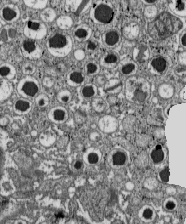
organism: C57BL Mouse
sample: Pancreatic islet